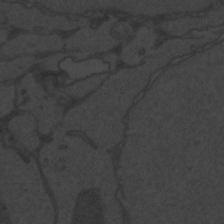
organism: Zebrafish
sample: Macrophage infected with Toxoplasma gondii